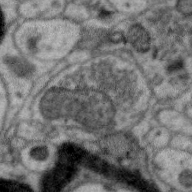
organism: Zebra finch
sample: Brain